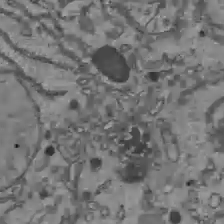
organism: C57BL Mouse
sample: Liver